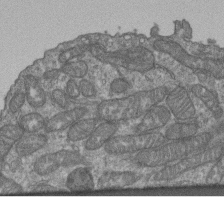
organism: Human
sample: Retinal organoid Rod and Cone cells